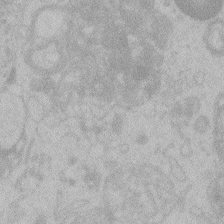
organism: Zebrafish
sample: Macrophage infected with Toxoplasma gondii